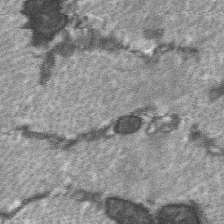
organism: C57BL Mouse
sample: Soleus